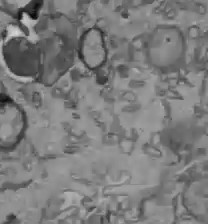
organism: C57BL Mouse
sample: Liver